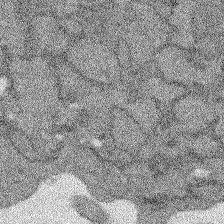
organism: Human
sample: HeLa cells